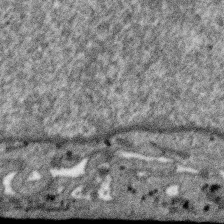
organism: Human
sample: Lung epithelial cells infected with SARS-CoV-2